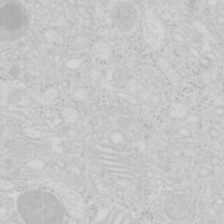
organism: Mouse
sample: Pancreas